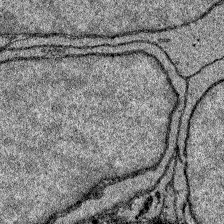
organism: Zebrafish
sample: Larval olfactory bulb